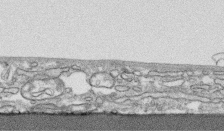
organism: Human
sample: CRL-1474